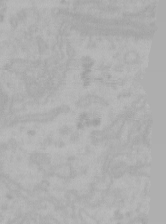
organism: Mouse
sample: Choroid plexus